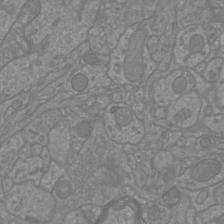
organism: Mouse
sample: Cortical neurons